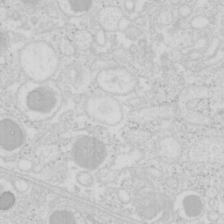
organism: Mouse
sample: Pancreas